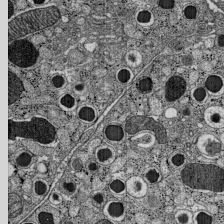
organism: C57BL Mouse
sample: Pancreatic islet